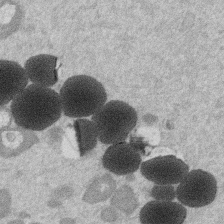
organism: Mouse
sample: Dividing mouse embryo 1 cell stage